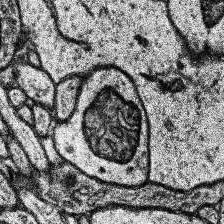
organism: Human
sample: Temporal Lobe